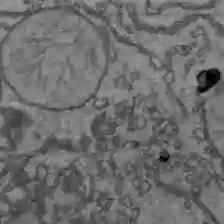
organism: C57BL Mouse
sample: Liver